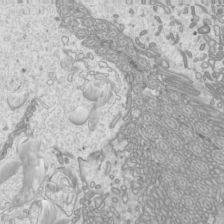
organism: Mouse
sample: Cilia; mouse epididymis